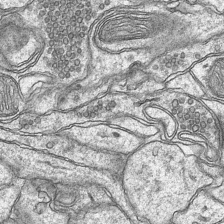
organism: Mouse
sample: CA1 Hippocampus